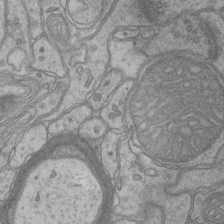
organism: Mouse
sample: CA1 Hippocampus